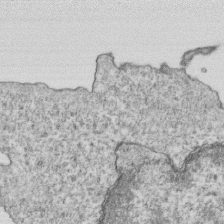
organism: Mouse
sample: Activated OT-1 CD8+ T cells